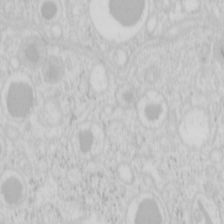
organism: Mouse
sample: Pancreas